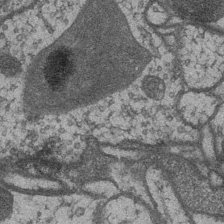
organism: Drosophila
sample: Optic medulla